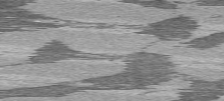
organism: C57BL Mouse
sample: Heart